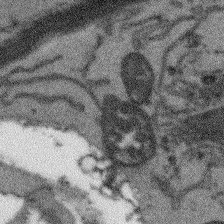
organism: Arabidopsis thaliana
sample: Root tip